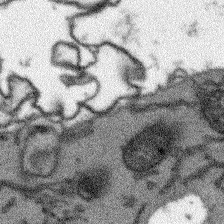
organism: Arabidopsis thaliana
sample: Root tip